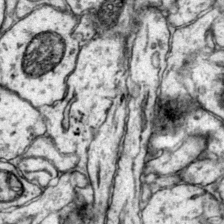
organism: Mouse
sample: Primary visual cortex